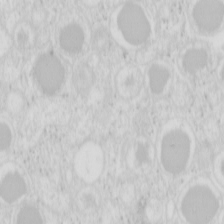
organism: Mouse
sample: Pancreas